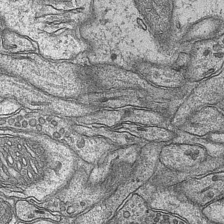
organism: Mouse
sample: CA1 Hippocampus